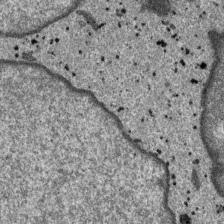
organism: Human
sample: Lung epithelial cells, uninfected (mock) control